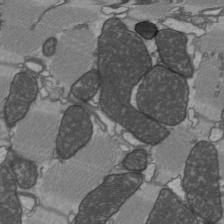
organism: C57BL Mouse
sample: Heart